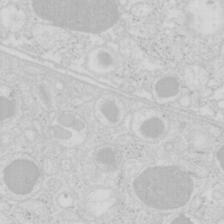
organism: Mouse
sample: Pancreas